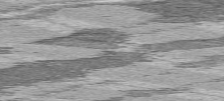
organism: C57BL Mouse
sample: Heart